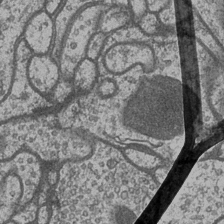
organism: Drosophila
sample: Optic medulla